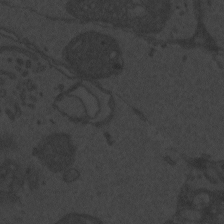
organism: Zebrafish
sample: Macrophage infected with Toxoplasma gondii